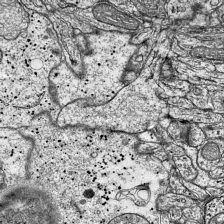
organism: Mouse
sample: Visual Cortex